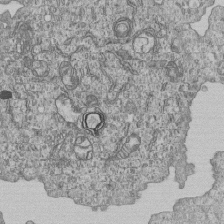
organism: Human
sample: MDA-MB-231 cells